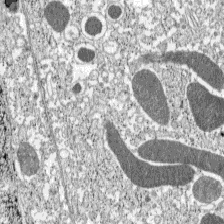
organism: C57BL Mouse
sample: Pancreatic islet